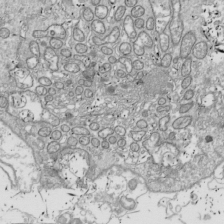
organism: Drosophila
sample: Cell division; meiosis; drosophila spermatocytes